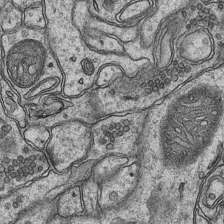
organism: Mouse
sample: CA1 Hippocampus